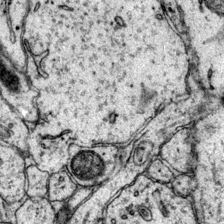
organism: Mouse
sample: Primary visual cortex